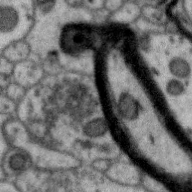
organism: Zebra finch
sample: Brain